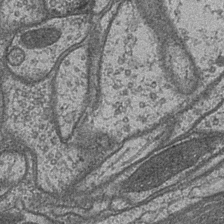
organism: Drosophila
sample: Optic medulla